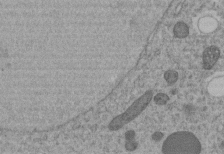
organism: C. elegans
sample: C. elegans embryo early stage